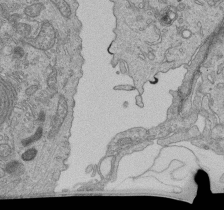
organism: Human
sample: Retinal organoid Rod and Cone cells